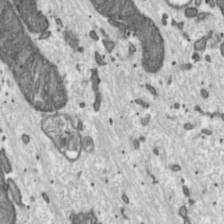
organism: Toxoplasma gondii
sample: Parasites in a vacuole inside a host cell